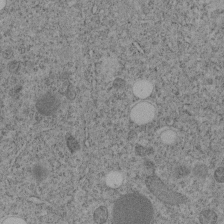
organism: C. elegans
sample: C. elegans embryo early stage